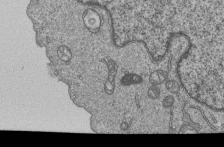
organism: Human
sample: MDA-MB-231 cells